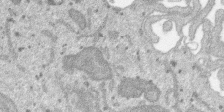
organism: Human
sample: Lung epithelial cells infected with SARS-CoV-2